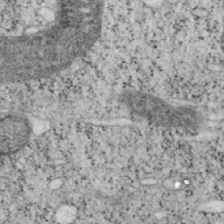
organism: Mouse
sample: OT-I killer T cells with ID8 ovarian cancer cells